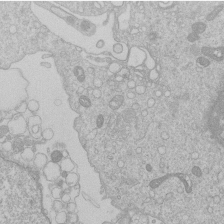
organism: Human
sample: Macrophage cells